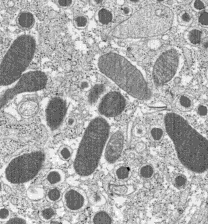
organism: C57BL Mouse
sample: Pancreatic islet